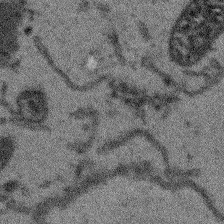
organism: Arabidopsis thaliana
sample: Root tip